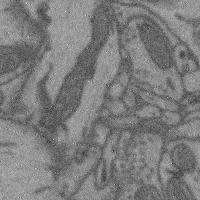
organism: Mouse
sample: Cerebral cortex